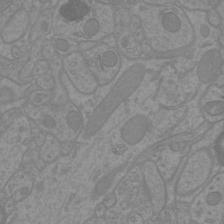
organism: Mouse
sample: Cortical neurons